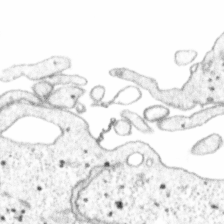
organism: Human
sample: HeLa cells